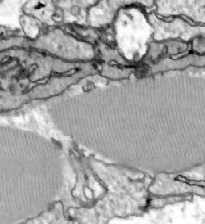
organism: Zebrafish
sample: Actinotrichia fibers